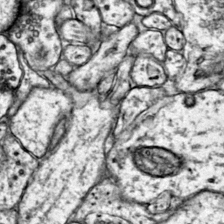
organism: Mouse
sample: Primary visual cortex